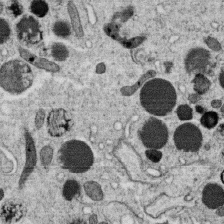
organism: C. elegans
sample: C. elegans oocyte; sperm cells